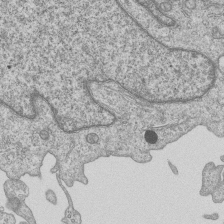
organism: Human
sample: MDA-MB-231 cells